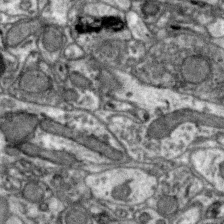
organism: Zebra finch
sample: Brain